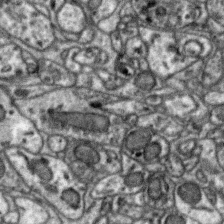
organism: Zebra finch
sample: Brain